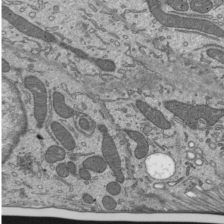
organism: Mouse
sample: Mouse epididymis efferent ductule cilia